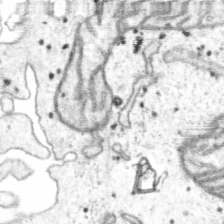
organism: Human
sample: HeLa cells